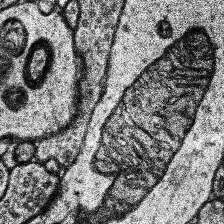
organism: Human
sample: Temporal Lobe